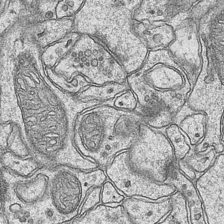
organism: Mouse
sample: CA1 Hippocampus